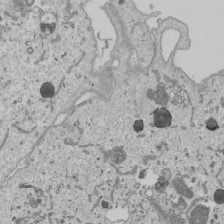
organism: Human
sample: Mitochondria in U2OS cells